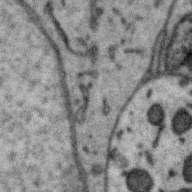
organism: Zebra finch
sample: Brain